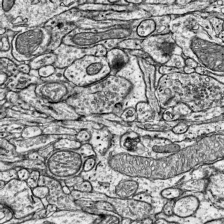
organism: Mouse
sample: Visual Cortex